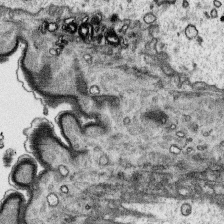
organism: Platynereis dumerilii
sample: Parapodia